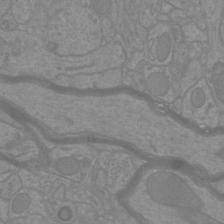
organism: Mouse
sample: Cortical neurons